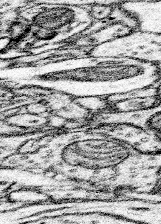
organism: Mouse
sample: Somatosensory cortex neuropil